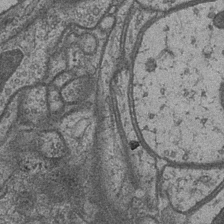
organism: Drosophila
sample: Optic medulla